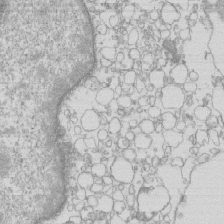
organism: Mouse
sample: Macrophages